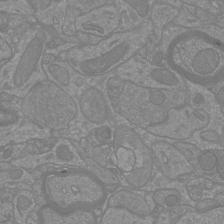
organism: Mouse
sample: Cortical neurons